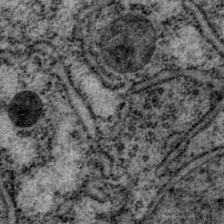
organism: P. pacificus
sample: Pharynx